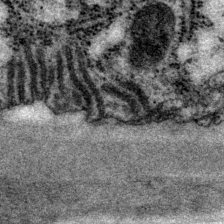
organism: P. pacificus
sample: Pharynx